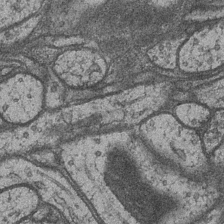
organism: Drosophila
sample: Optic medulla